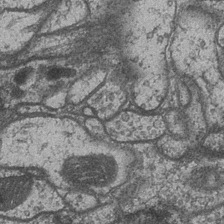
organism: Drosophila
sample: Optic medulla